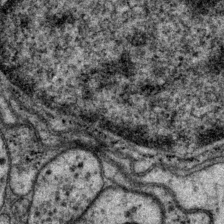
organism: P. pacificus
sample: Pharynx